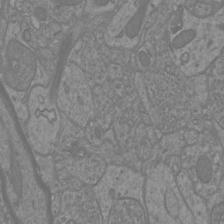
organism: Mouse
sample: Cortical neurons